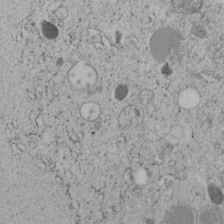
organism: C. elegans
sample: C. elegans embryo early stage